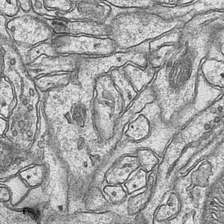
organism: Mouse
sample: CA1 Hippocampus